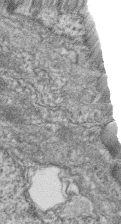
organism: Zebrafish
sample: Cilia; retinal pigment epithelium